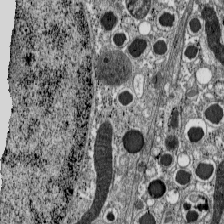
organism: C57BL Mouse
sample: Pancreatic islet